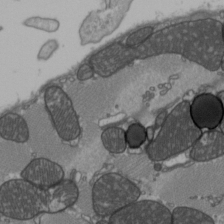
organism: C57BL Mouse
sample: Heart